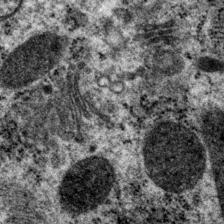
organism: P. pacificus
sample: Pharynx